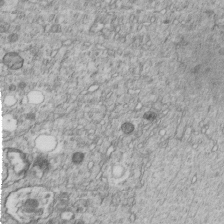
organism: C. elegans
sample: C. elegans embryo early stage